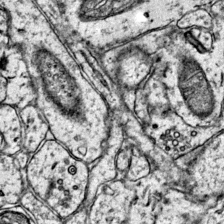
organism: Mouse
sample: Primary visual cortex